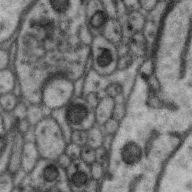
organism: Zebra finch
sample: Brain